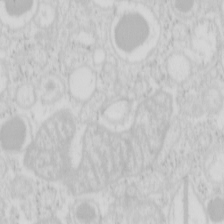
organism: Mouse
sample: Pancreas